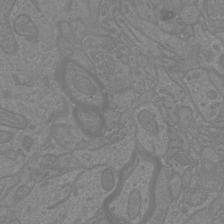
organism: Mouse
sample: Cortical neurons